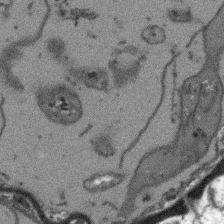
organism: Arabidopsis thaliana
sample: Root tip